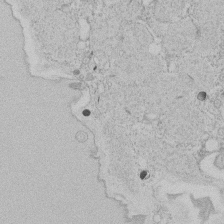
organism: Tetrahymena